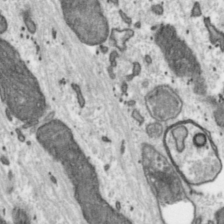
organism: Toxoplasma gondii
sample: Parasites in a vacuole inside a host cell